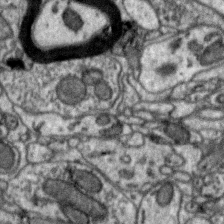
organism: Zebra finch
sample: Brain